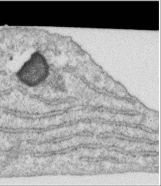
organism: Human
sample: Centriole in RPE cells